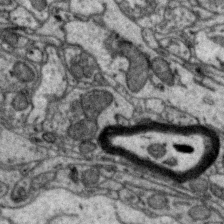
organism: Zebra finch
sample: Brain